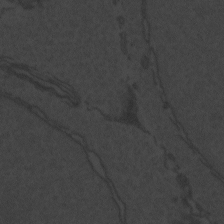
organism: Zebrafish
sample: Macrophage infected with Toxoplasma gondii